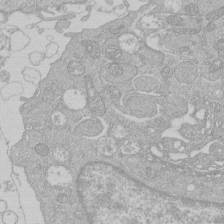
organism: Human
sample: Macrophage cells